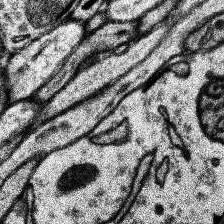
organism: Human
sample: Temporal Lobe